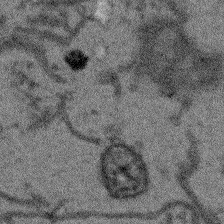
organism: Arabidopsis thaliana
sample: Root tip